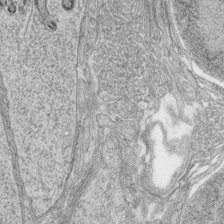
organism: Zebrafish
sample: synaptic ribbons in rod cells and cone cells